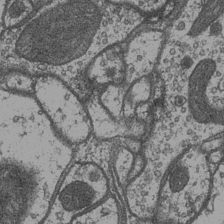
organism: Drosophila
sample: Optic medulla